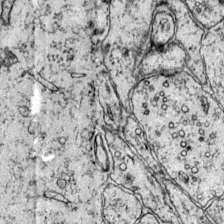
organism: Mouse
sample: Primary visual cortex